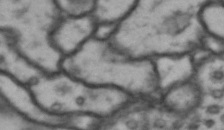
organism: Drosophila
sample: Brain